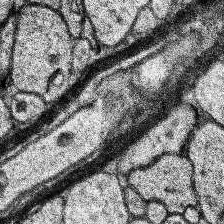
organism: Human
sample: Temporal Lobe